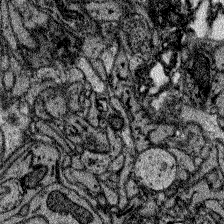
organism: Zebrafish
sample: Larval olfactory bulb